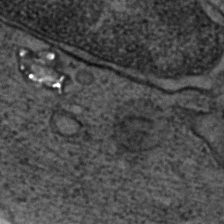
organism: Zebrafish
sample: Zebrafish embryo